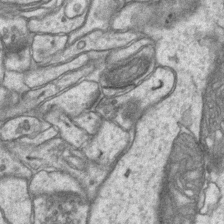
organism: Mouse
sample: CA1 Hippocampus